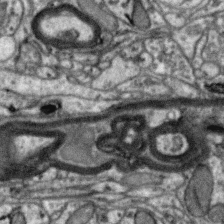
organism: Zebra finch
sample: Brain